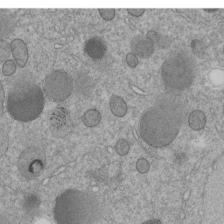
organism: C. elegans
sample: C. elegans embryo early stage